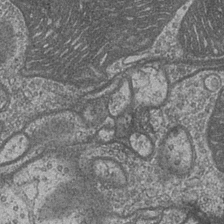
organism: Drosophila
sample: Optic medulla